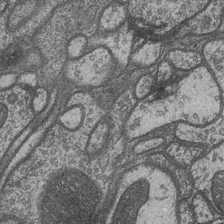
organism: Drosophila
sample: Optic medulla